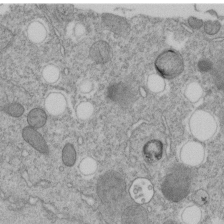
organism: C. elegans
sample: C. elegans embryo early stage